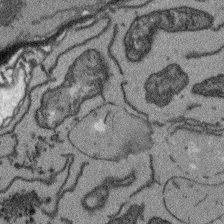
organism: Arabidopsis thaliana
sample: Root tip